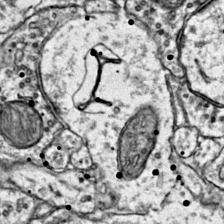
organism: Mouse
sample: Primary visual cortex